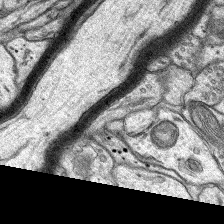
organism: Rat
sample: Hippocampus